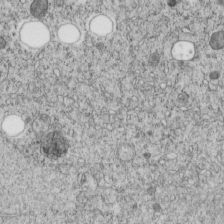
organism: C. elegans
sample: C. elegans embryo early stage